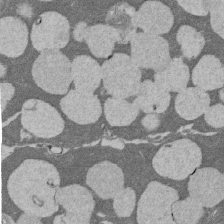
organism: Rat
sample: Salivary granule